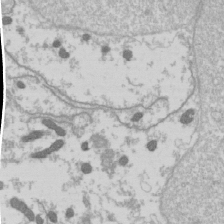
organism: Drosophila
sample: Cell division; meiosis; drosophila spermatocytes